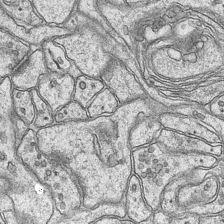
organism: Mouse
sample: CA1 Hippocampus